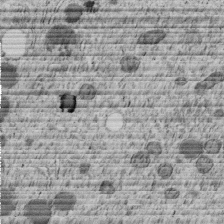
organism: C. elegans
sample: C. elegans embryo early stage